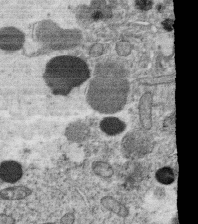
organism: C. elegans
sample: C. elegans oocyte; sperm cells